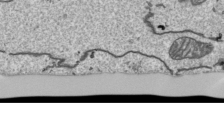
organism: Human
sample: Mitochondria in HCT116 cells